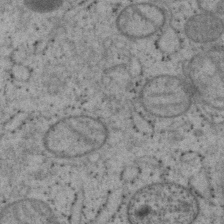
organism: Human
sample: HeLa cells